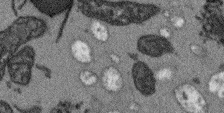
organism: Arabidopsis thaliana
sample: Root tip